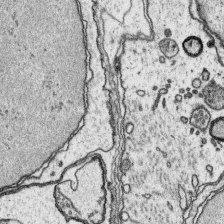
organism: Platynereis dumerilii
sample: Parapodia